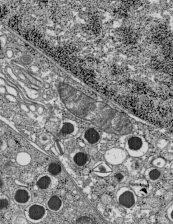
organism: C57BL Mouse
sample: Pancreatic islet